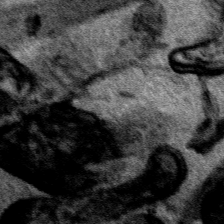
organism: Human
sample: Mitochondria in HCT116 cells